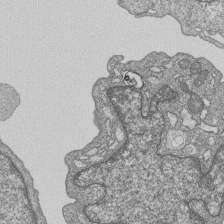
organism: Human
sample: MDA-MB-231 cells